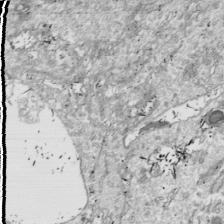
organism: Drosophila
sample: Cell division; meiosis; drosophila spermatocytes